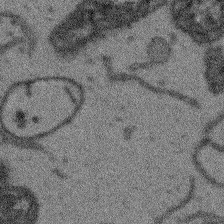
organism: Arabidopsis thaliana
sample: Root tip